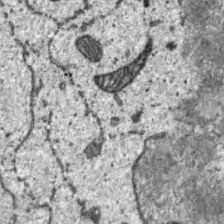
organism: Human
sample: HeLa cells